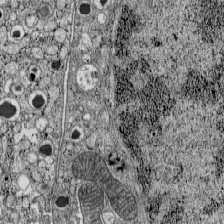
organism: C57BL Mouse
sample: Pancreatic islet